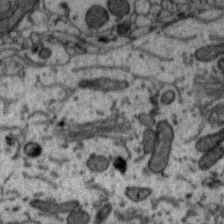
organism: Zebra finch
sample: Brain